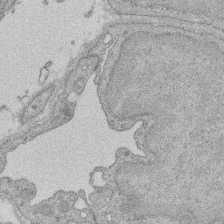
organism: Rat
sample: Salivary granule